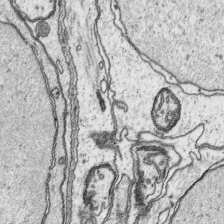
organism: Platynereis dumerilii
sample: Parapodia